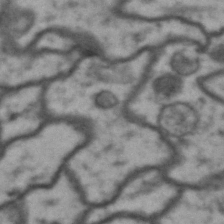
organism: Drosophila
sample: Brain